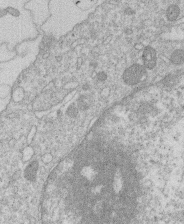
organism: Human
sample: Macrophage cells